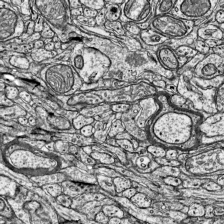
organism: Mouse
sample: Visual Cortex